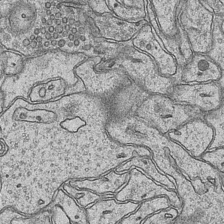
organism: Mouse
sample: CA1 Hippocampus